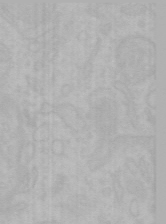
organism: Mouse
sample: Choroid plexus